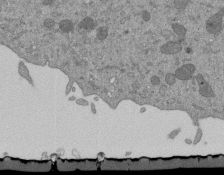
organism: Mouse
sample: ED-1 cell nuclei; centrioles